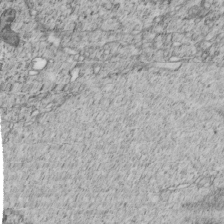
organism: C. elegans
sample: C. elegans embryo early stage